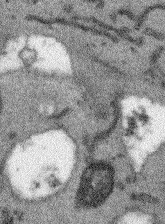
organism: Arabidopsis thaliana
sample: Root tip